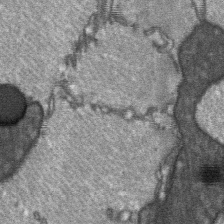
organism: C57BL Mouse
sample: Soleus